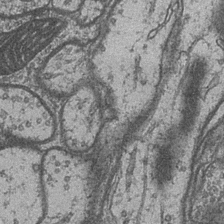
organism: Drosophila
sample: Optic medulla